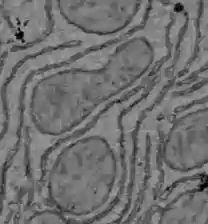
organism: C57BL Mouse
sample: Liver